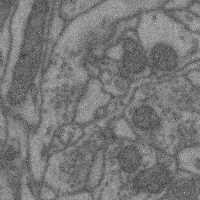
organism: Mouse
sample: Cerebral cortex